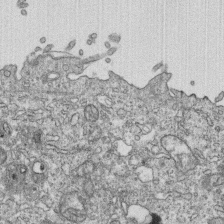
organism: Human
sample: HeLa cell HIV synapse